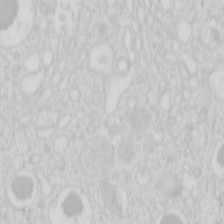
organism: Mouse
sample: Pancreas